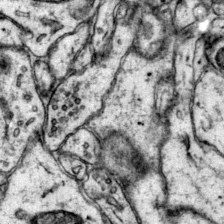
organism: Mouse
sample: Primary visual cortex